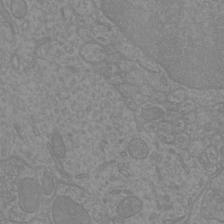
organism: Mouse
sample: Cortical neurons